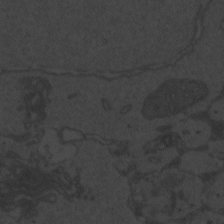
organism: Zebrafish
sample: Macrophage infected with Toxoplasma gondii